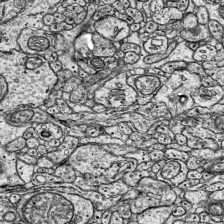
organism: Mouse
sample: Visual Cortex